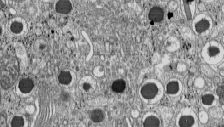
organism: C57BL Mouse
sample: Pancreatic islet